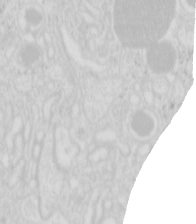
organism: Mouse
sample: Pancreas